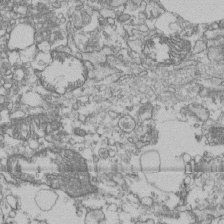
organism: Human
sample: Fibroblast cells